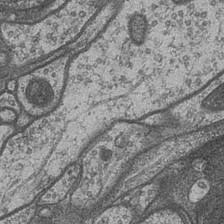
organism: Drosophila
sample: Optic medulla